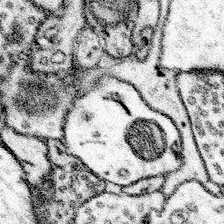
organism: Mouse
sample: Somatosensory cortex neuropil